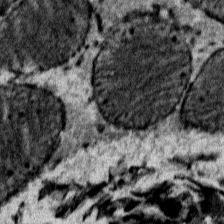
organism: Mouse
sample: Mouse Salivary gland